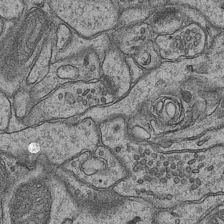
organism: Mouse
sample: CA1 Hippocampus